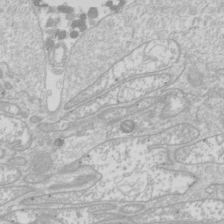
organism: Drosophila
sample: Cell division; meiosis; drosophila spermatocytes